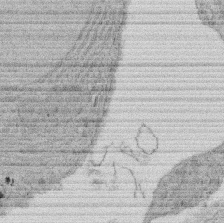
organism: Rat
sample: Salivary granule